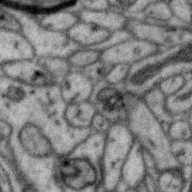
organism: Zebra finch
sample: Brain